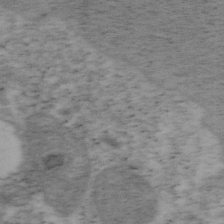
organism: Mouse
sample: OT-I killer T cells with ID8 ovarian cancer cells